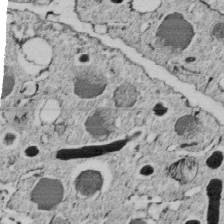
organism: C. elegans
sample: C. elegans embryo early stage